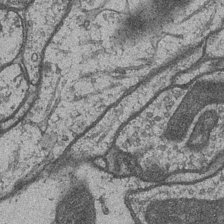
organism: Drosophila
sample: Optic medulla